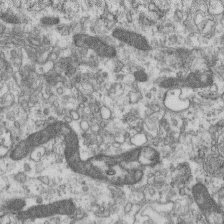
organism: Mouse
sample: Centriole in ependymal cells